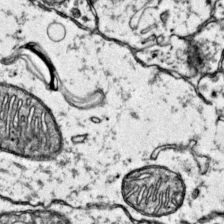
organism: Mouse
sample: Primary visual cortex